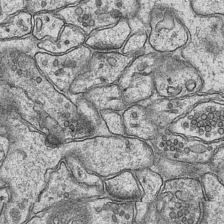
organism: Mouse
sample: CA1 Hippocampus